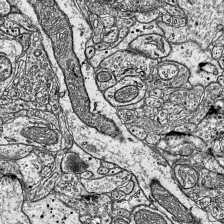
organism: Mouse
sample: Visual Cortex